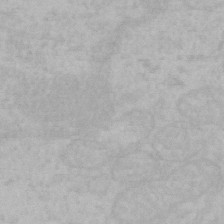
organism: Mouse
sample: Choroid plexus